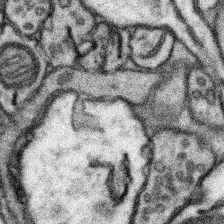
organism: Mouse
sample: Somatosensory cortex neuropil